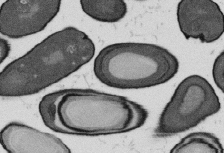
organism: B. subtilis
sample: Bacterial spore